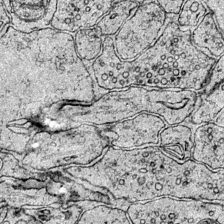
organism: Mouse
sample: Primary visual cortex